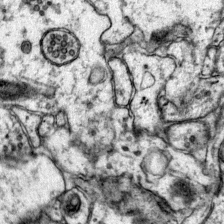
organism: Mouse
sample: Primary visual cortex